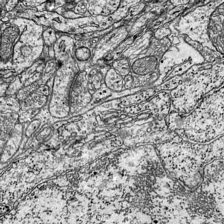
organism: Mouse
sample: Visual Cortex